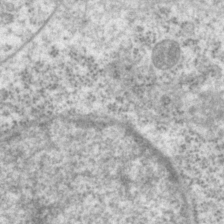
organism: P. pacificus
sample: Pharynx